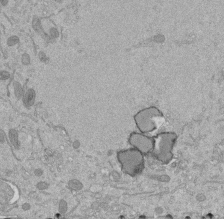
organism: Mouse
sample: ED-1 cell nuclei; centrioles